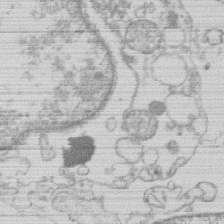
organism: Human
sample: Macrophage cells